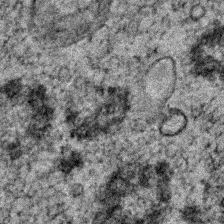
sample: Trachea